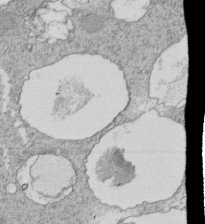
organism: Tetrahymena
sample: Cilia in tetrahymena